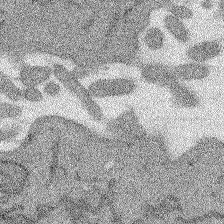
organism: Human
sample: HeLa cells